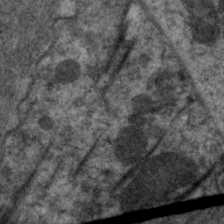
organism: C. elegans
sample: Pharynx